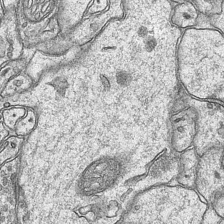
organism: Mouse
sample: CA1 Hippocampus